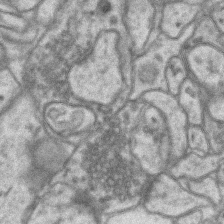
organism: Mouse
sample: CA1 Hippocampus